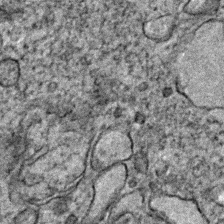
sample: Trachea